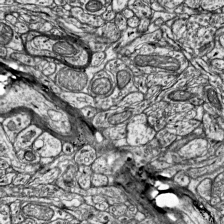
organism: Mouse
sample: Visual Cortex